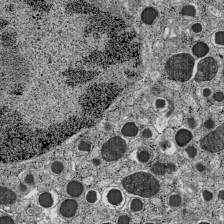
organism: C57BL Mouse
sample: Pancreatic islet